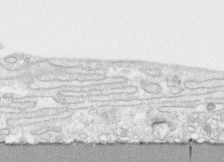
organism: Human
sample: CRL-1474